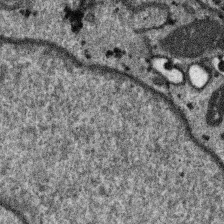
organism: Human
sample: Lung epithelial cells infected with SARS-CoV-2